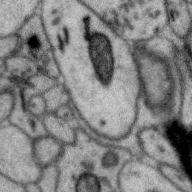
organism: Zebra finch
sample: Brain